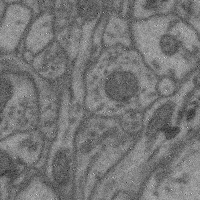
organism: Mouse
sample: Cerebral cortex